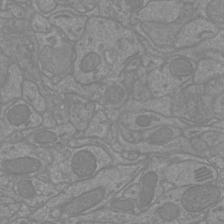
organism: Mouse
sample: Cortical neurons